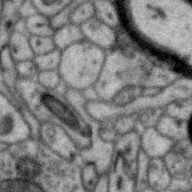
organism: Zebra finch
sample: Brain